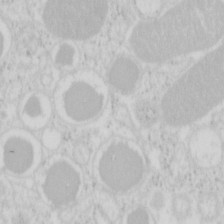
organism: Mouse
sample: Pancreas